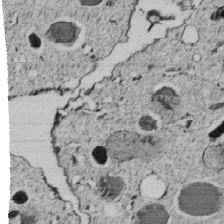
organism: C. elegans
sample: C. elegans embryo early stage